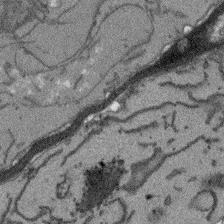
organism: Arabidopsis thaliana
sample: Root tip